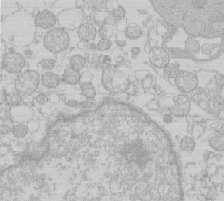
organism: Human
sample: Macrophage cells